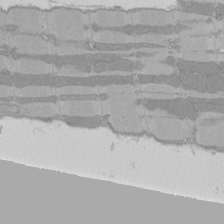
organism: Rat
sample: Left ventricle